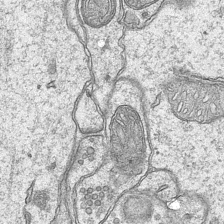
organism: Mouse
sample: CA1 Hippocampus